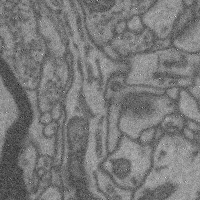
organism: Mouse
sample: Cerebral cortex